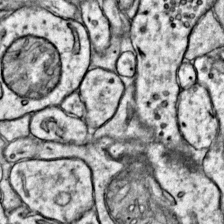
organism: Mouse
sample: Primary visual cortex